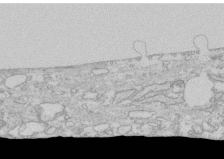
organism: Human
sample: CRL-1474